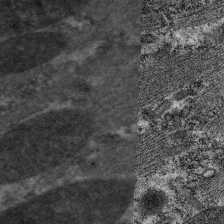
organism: C. elegans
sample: Pharynx